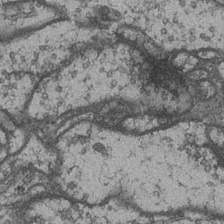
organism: Drosophila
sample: Optic medulla